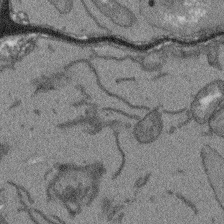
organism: Arabidopsis thaliana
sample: Root tip